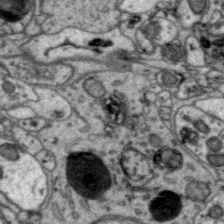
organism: Zebra finch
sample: Brain